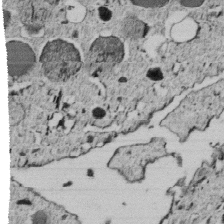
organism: C. elegans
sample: C. elegans embryo early stage